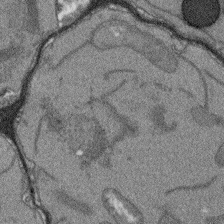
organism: Arabidopsis thaliana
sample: Root tip